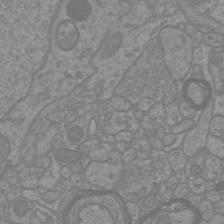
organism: Mouse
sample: Cortical neurons